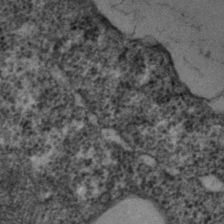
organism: C. elegans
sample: C. elegans embryo